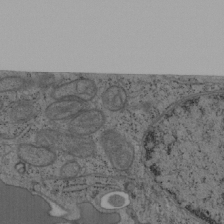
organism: Human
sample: HeLa cells